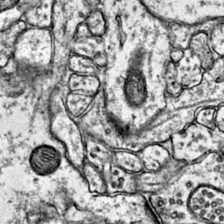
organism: Mouse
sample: Primary visual cortex